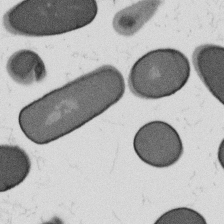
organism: B. subtilis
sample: Bacterial spore